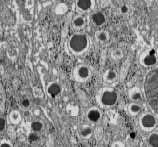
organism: C57BL Mouse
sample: Pancreatic islet